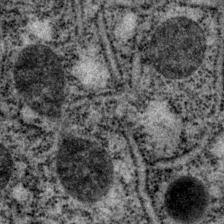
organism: P. pacificus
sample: Pharynx